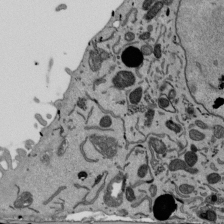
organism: Mouse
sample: ED-1 cell nuclei; centrioles